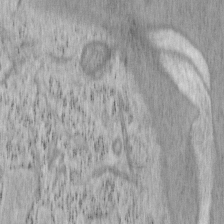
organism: Human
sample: HeLa cells